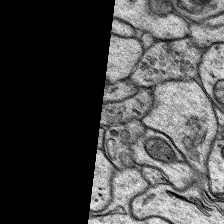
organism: Rat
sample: Hippocampus